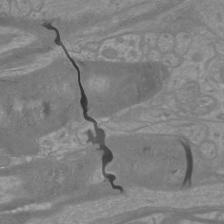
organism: Mouse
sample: Cortical neurons